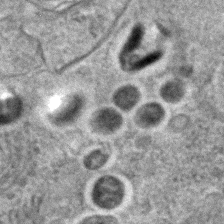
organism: C. elegans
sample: C. elegans embryo